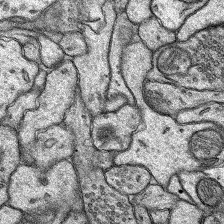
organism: Rat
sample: Hippocampus